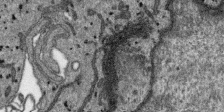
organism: Human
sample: Lung epithelial cells, uninfected (mock) control